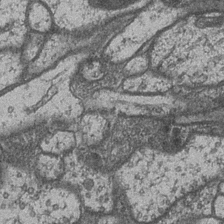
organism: Drosophila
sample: Optic medulla